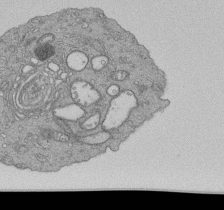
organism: Human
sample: Retinal organoid Rod and Cone cells